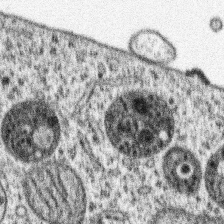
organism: Human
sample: HeLa cells